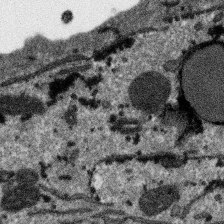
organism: Human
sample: Lung epithelial cells infected with SARS-CoV-2